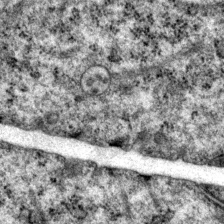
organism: P. pacificus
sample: Pharynx